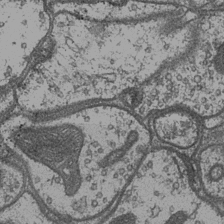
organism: Drosophila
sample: Optic medulla